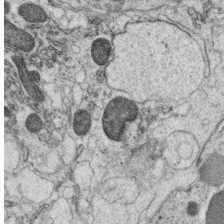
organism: C. elegans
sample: C. elegans oocyte; sperm cells